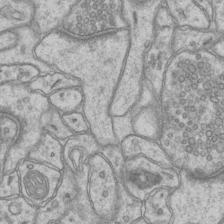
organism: Mouse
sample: CA1 Hippocampus